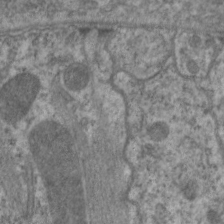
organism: C. elegans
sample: Pharynx